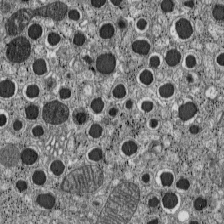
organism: C57BL Mouse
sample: Pancreatic islet